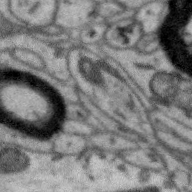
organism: Zebra finch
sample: Brain